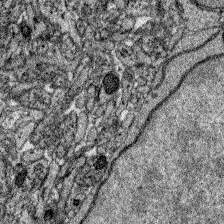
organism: Zebrafish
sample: Larval olfactory bulb